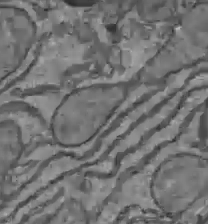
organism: C57BL Mouse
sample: Liver